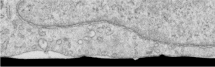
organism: Human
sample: Centriole in RPE cells